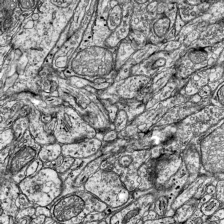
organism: Mouse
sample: Visual Cortex